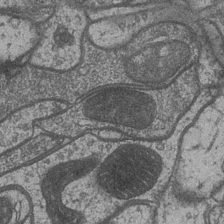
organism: Drosophila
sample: Optic medulla